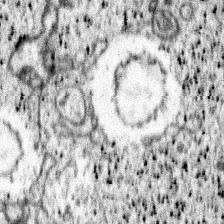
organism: Human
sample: HeLa cells